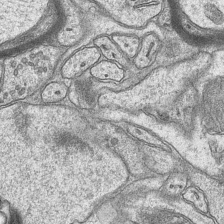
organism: Mouse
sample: CA1 Hippocampus